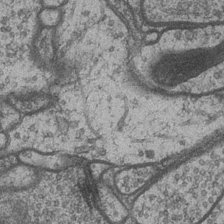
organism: Drosophila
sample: Optic medulla